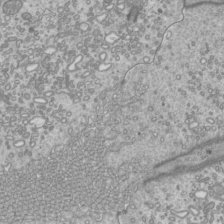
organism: Mouse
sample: Cilia; mouse epididymis